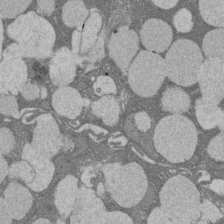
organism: Rat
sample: Salivary granule